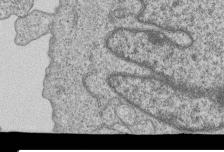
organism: Human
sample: MDA-MB-231 cells